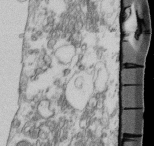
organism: Mouse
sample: Cilia; retinal pigment epithelium